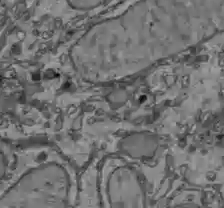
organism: C57BL Mouse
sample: Liver